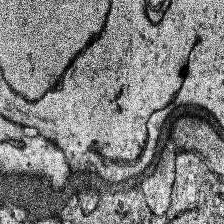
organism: Human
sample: Temporal Lobe